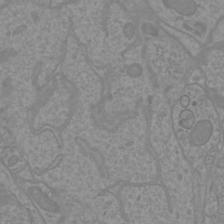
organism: Mouse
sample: Cortical neurons